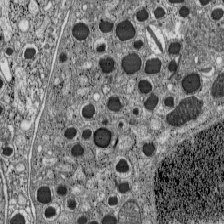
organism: C57BL Mouse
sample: Pancreatic islet